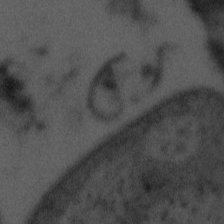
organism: Tuwongella immobilis